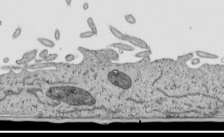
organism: Human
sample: Mitochondria in HCT116 cells